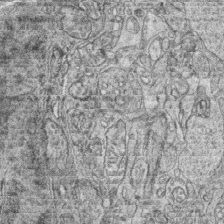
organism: Zebrafish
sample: synaptic ribbons in rod cells and cone cells